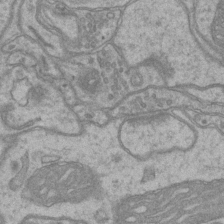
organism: Mouse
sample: CA1 Hippocampus